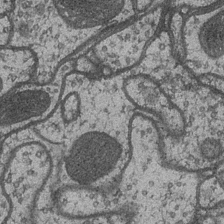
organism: Drosophila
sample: Optic medulla